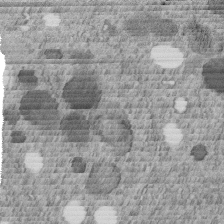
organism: C. elegans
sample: C. elegans embryo early stage